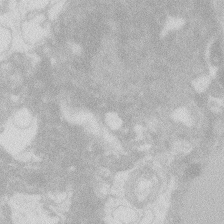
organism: Zebrafish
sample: Macrophage